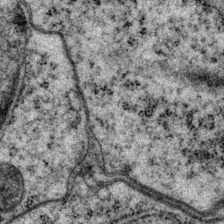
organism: P. pacificus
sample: Pharynx